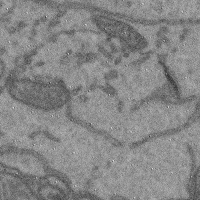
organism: Mouse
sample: Cerebral cortex